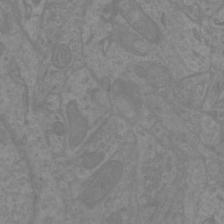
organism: Mouse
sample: Cortical neurons